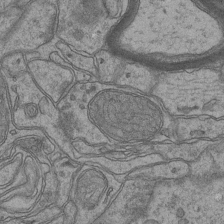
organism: Mouse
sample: CA1 Hippocampus